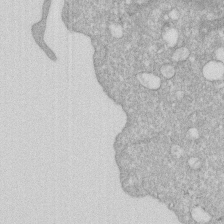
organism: Human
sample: HIV infected U937 cells